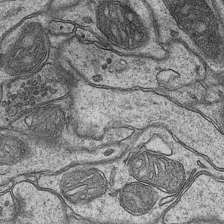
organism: Mouse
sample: CA1 Hippocampus